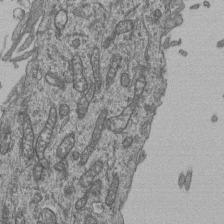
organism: Human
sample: Retinal organoid Rod and Cone cells